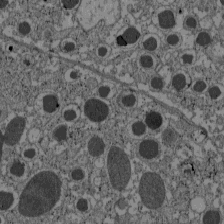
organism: C57BL Mouse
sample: Pancreatic islet